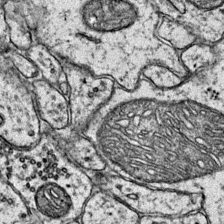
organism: Mouse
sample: Primary visual cortex